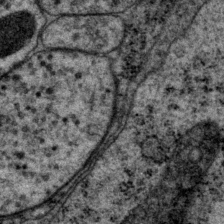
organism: P. pacificus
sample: Pharynx